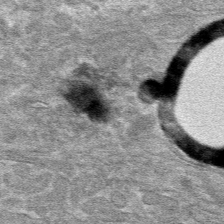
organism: Mouse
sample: Mouse hepatocytes